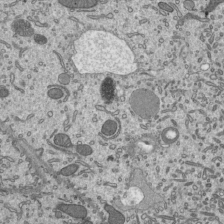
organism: Mouse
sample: Mouse epididymis efferent ductule cilia